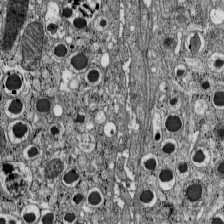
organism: C57BL Mouse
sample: Pancreatic islet